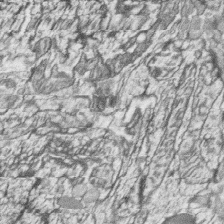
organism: Zebrafish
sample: synaptic ribbons in rod cells and cone cells